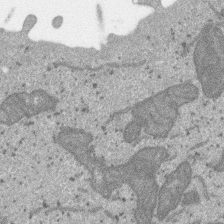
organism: Human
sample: Lung epithelial cells infected with SARS-CoV-2